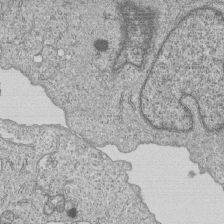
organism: Human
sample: MDA-MB-231 cells